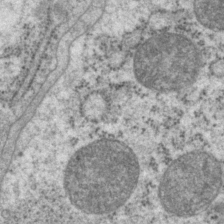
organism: P. pacificus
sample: Pharynx